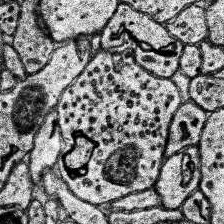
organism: Human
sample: Temporal Lobe